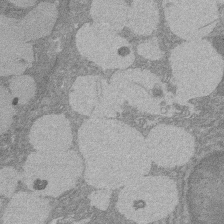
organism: Rat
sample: Salivary granule